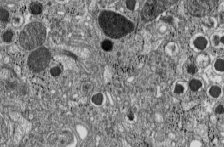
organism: C57BL Mouse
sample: Pancreatic islet